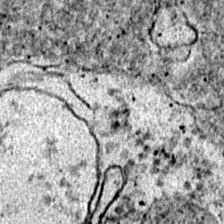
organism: Zebrafish